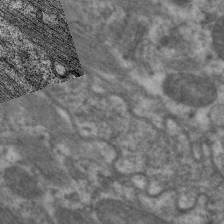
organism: C. elegans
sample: Pharynx